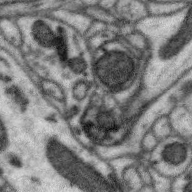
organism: Zebra finch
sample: Brain